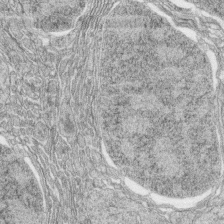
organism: Zebrafish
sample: synaptic ribbons in rod cells and cone cells